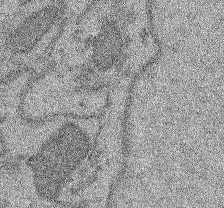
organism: Human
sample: HeLa cells